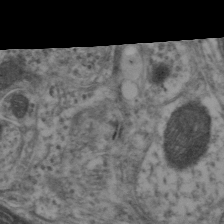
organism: Mouse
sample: Neocortex